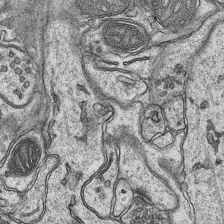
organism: Mouse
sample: CA1 Hippocampus